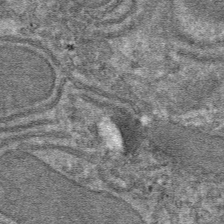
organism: Mouse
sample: Mouse hepatocytes